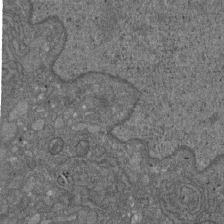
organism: Drosophila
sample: Nephrocyte